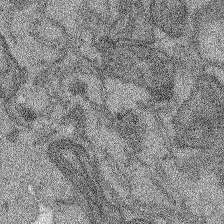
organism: Human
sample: HeLa cells